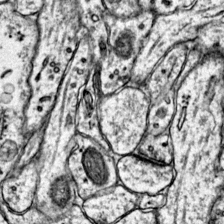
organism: Mouse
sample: Primary visual cortex